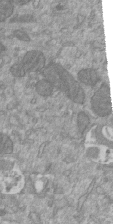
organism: Mouse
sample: ED-1 cell nuclei; centrioles